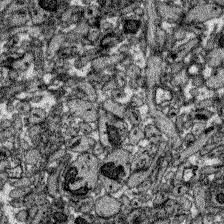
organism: Zebrafish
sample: Larval olfactory bulb